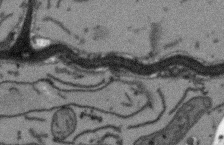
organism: Arabidopsis thaliana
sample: Root tip